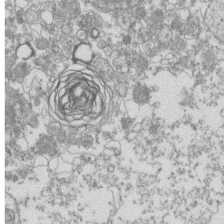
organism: Human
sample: HeLa cell HIV synapse